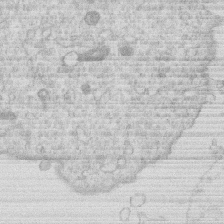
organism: Human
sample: Macrophage cells